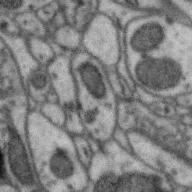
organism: Zebra finch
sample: Brain